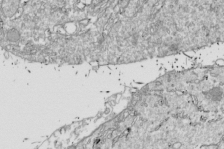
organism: Drosophila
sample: Cell division; meiosis; drosophila spermatocytes